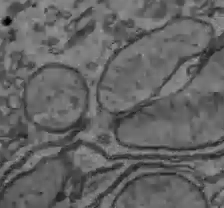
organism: C57BL Mouse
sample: Liver